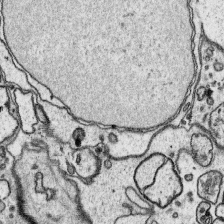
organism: Platynereis dumerilii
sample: Parapodia